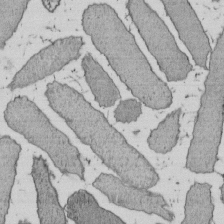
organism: E. coli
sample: Bacterial nucleoid